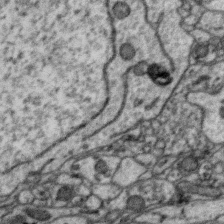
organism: Zebra finch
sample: Brain